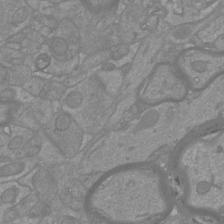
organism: Mouse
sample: Cortical neurons